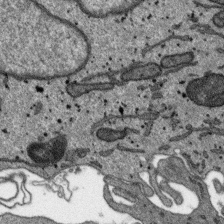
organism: Human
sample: Lung epithelial cells, uninfected (mock) control